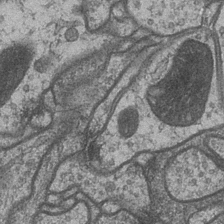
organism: Drosophila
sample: Optic medulla